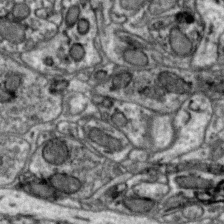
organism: Zebra finch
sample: Brain